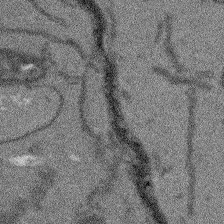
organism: Arabidopsis thaliana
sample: Root tip